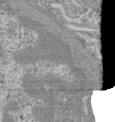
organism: Mouse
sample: Glomerulus